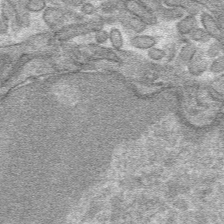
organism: Mouse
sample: Mouse hepatocytes